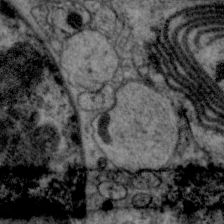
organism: C. elegans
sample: Pharynx